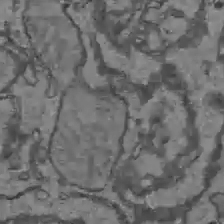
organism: C57BL Mouse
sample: Liver